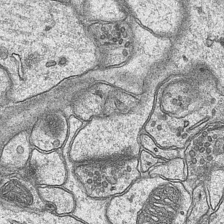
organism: Mouse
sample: CA1 Hippocampus